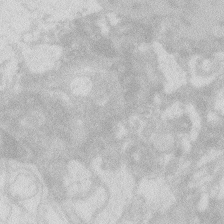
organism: Zebrafish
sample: Macrophage